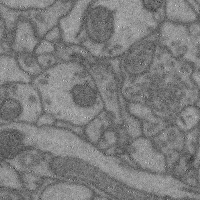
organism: Mouse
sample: Cerebral cortex